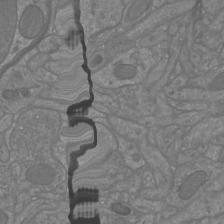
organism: Mouse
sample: Cortical neurons